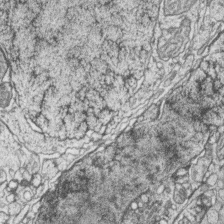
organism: Zebrafish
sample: synaptic ribbons in rod cells and cone cells